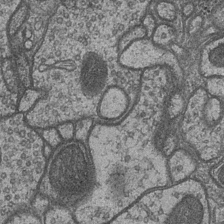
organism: Drosophila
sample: Optic medulla